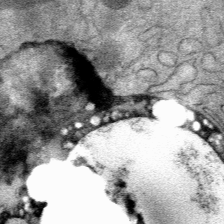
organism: Mouse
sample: Mouse Salivary gland